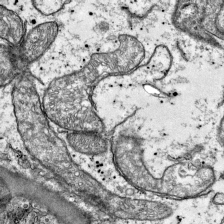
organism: Mouse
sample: Visual Cortex